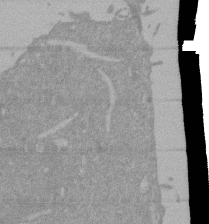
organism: Mouse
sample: ED-1 cell nuclei; centrioles